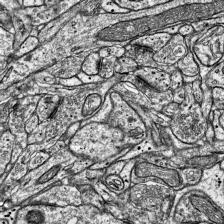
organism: Mouse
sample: Visual Cortex